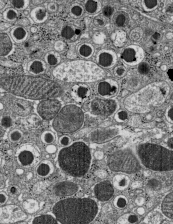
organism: C57BL Mouse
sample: Pancreatic islet